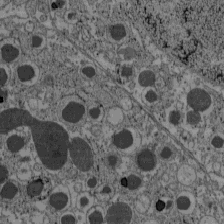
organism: C57BL Mouse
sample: Pancreatic islet